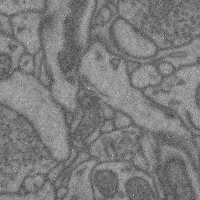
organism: Mouse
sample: Cerebral cortex